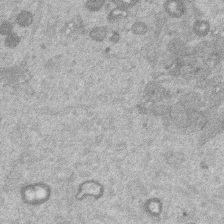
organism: Mouse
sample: Dividing mouse embryo 1 cell stage